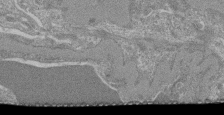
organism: Mouse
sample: Glomerulus